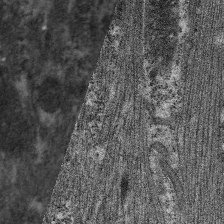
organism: C. elegans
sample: Pharynx